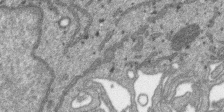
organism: Human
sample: Lung epithelial cells infected with SARS-CoV-2